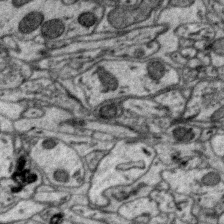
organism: Zebra finch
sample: Brain